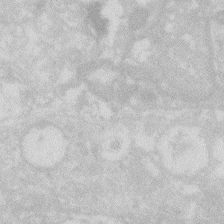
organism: Zebrafish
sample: Macrophage